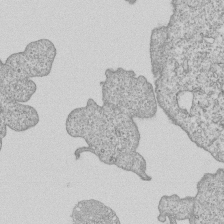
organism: Human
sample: MDA-MB-231 cells